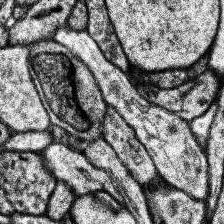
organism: Human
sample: Temporal Lobe